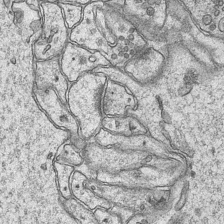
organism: Mouse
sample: CA1 Hippocampus